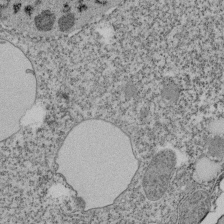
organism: Tetrahymena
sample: Cilia in tetrahymena